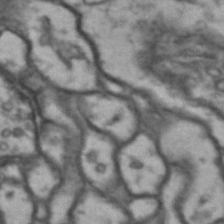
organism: Drosophila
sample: Brain